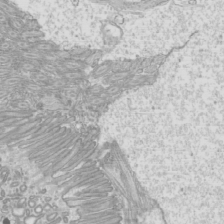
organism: Mouse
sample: Cilia; mouse epididymis